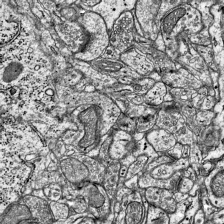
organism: Mouse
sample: Visual Cortex